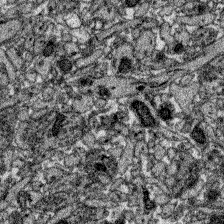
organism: Zebrafish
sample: Larval olfactory bulb